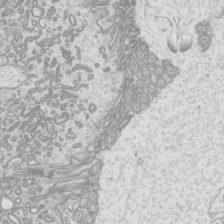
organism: Mouse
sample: Cilia; mouse epididymis